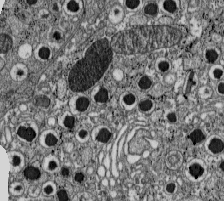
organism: C57BL Mouse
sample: Pancreatic islet